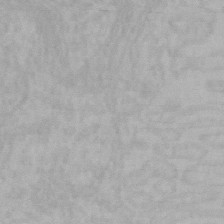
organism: Mouse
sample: Choroid plexus